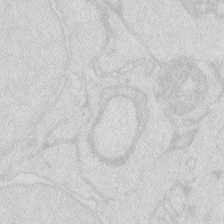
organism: Zebrafish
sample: Macrophage